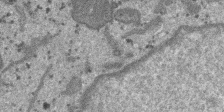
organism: Human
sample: Lung epithelial cells infected with SARS-CoV-2